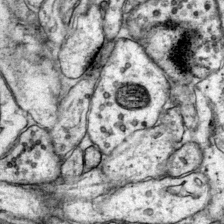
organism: Mouse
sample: Primary visual cortex